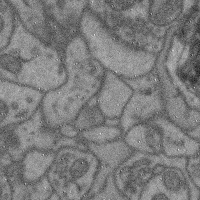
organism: Mouse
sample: Cerebral cortex